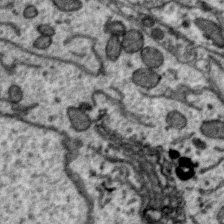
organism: Zebra finch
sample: Brain